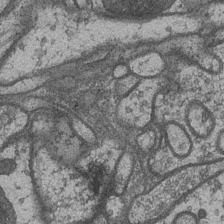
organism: Drosophila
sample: Optic medulla